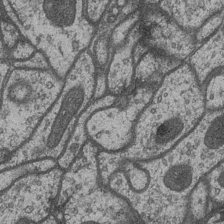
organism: Drosophila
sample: Optic medulla